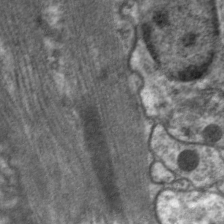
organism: C. elegans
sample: Pharynx